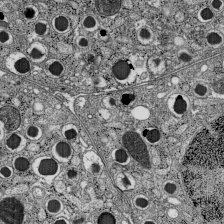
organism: C57BL Mouse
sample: Pancreatic islet